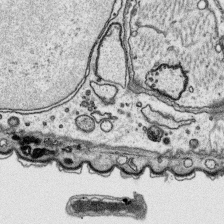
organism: Platynereis dumerilii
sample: Parapodia